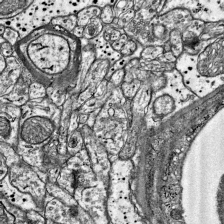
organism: Mouse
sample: Visual Cortex